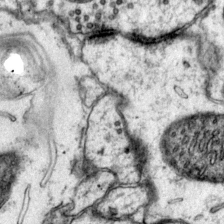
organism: Mouse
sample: Primary visual cortex